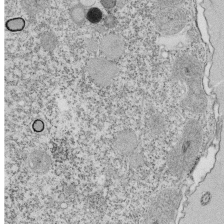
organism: Tetrahymena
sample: Cilia in tetrahymena